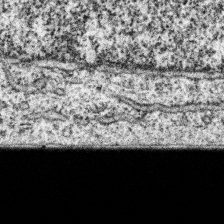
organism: Human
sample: HeLa cells